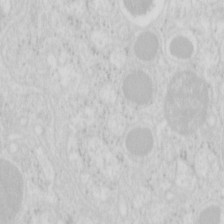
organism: Mouse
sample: Pancreas